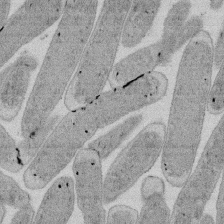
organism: E. coli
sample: Bacterial nucleoid